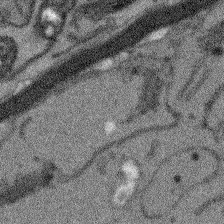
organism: Arabidopsis thaliana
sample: Root tip